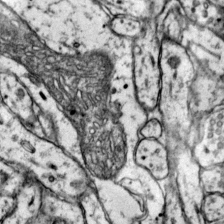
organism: Mouse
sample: Primary visual cortex